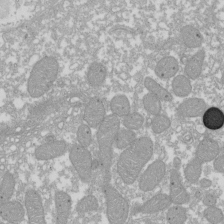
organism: Xenopus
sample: Cilia; centrioles in frog embryo cells